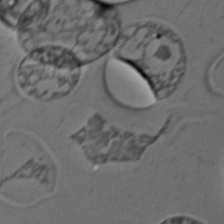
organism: C. elegans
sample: C. elegans embryo